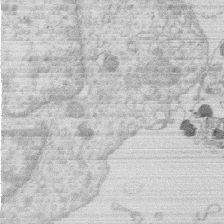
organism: Human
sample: Macrophage cells